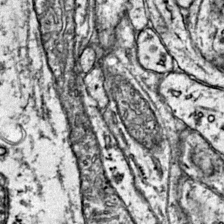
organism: Mouse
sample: Primary visual cortex